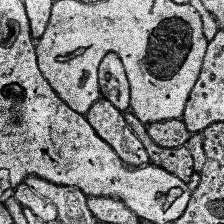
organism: Human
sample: Temporal Lobe